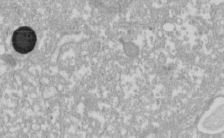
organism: Xenopus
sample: Cilia; centrioles in frog embryo cells